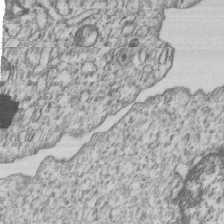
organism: Human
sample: MDA-MB-231 cells